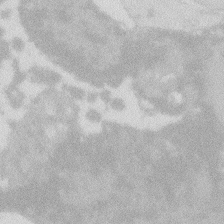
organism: Zebrafish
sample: Macrophage